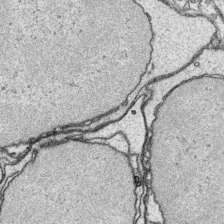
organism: Platynereis dumerilii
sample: Parapodia